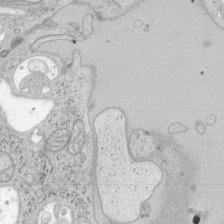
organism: Mouse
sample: OT-I killer T cells with ID8 ovarian cancer cells